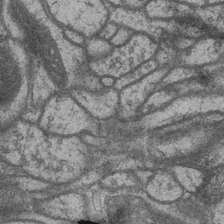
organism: Drosophila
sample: Optic medulla